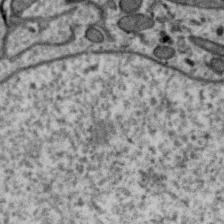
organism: Zebra finch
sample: Brain